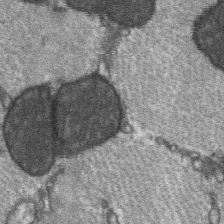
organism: C57BL Mouse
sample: Soleus